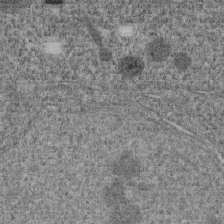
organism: C. elegans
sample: C. elegans embryo early stage